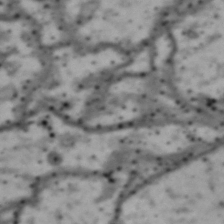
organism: Drosophila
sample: Brain